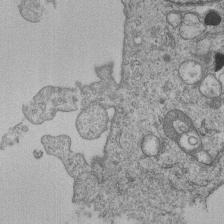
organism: Human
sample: MDA-MB-231 cells